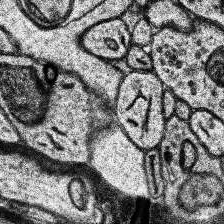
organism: Human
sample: Temporal Lobe